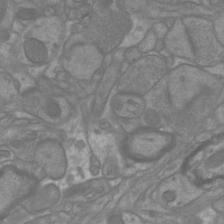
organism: Mouse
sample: Cortical neurons